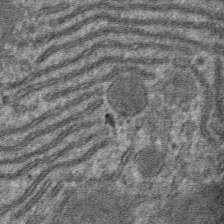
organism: Mouse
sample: Mouse hepatocytes